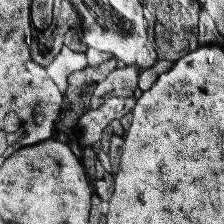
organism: Human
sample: Temporal Lobe